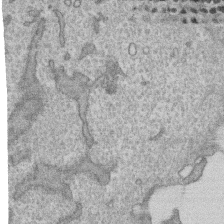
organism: Human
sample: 1205lu cells